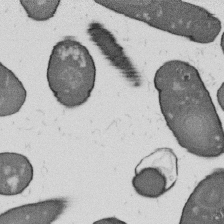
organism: B. subtilis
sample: Bacterial spore